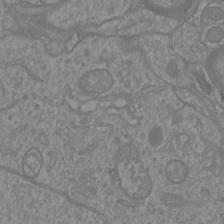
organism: Mouse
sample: Cortical neurons